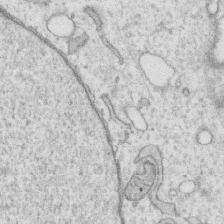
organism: Human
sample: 1205lu cells